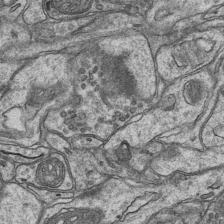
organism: Mouse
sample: CA1 Hippocampus